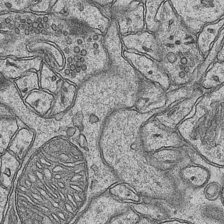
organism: Mouse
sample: CA1 Hippocampus